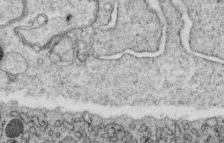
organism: C. elegans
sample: C. elegans oocyte; sperm cells